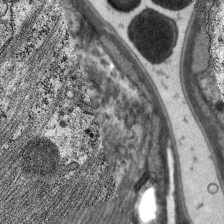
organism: C. elegans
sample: Pharynx